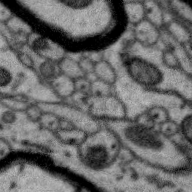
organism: Zebra finch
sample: Brain